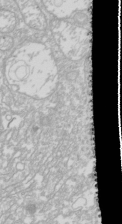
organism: Drosophila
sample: Cell division; meiosis; drosophila spermatocytes